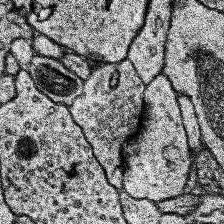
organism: Human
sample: Temporal Lobe